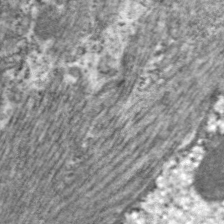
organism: C. elegans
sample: Pharynx